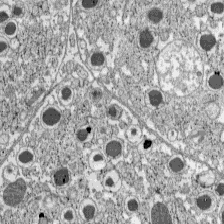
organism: C57BL Mouse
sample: Pancreatic islet